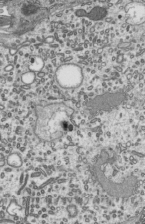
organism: Mouse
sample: Mouse epididymis efferent ductule cilia